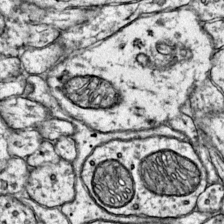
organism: Mouse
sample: Primary visual cortex